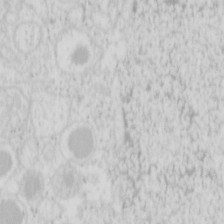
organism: Mouse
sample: Pancreas